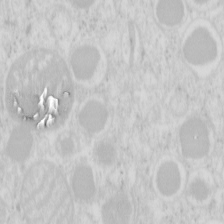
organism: Mouse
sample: Pancreas